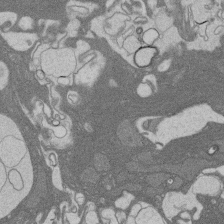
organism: Rat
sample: Salivary granule